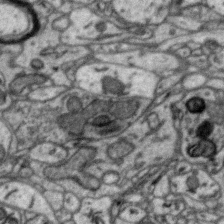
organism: Zebra finch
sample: Brain